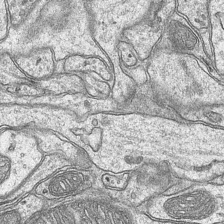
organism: Mouse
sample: CA1 Hippocampus